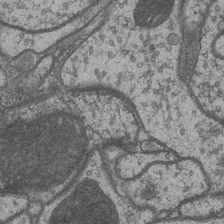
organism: Drosophila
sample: Optic medulla